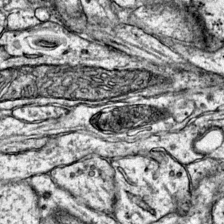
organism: Mouse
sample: Primary visual cortex